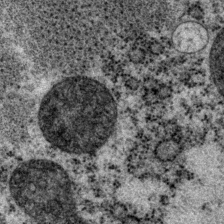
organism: P. pacificus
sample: Pharynx